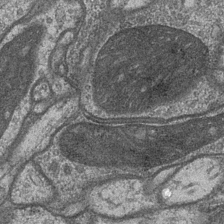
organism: Drosophila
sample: Optic medulla